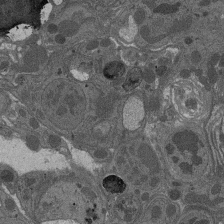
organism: Drosophila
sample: Antenna